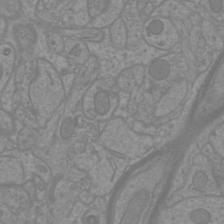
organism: Mouse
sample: Cortical neurons